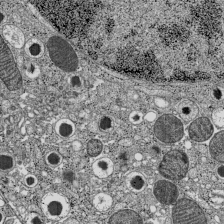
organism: C57BL Mouse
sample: Pancreatic islet